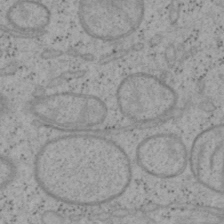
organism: Human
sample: HeLa cells